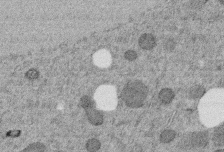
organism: C. elegans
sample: C. elegans embryo early stage